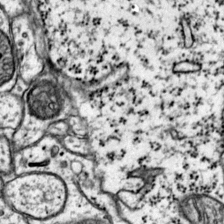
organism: Mouse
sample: Primary visual cortex